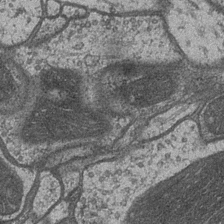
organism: Drosophila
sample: Optic medulla